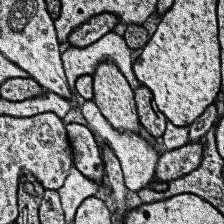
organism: Human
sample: Temporal Lobe